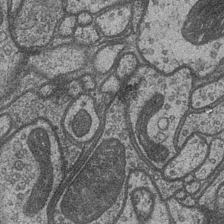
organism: Drosophila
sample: Optic medulla